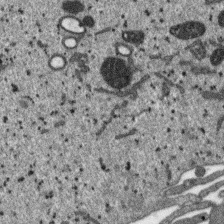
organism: Human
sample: Lung epithelial cells infected with SARS-CoV-2